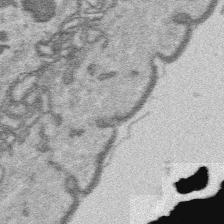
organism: Platynereis dumerilii